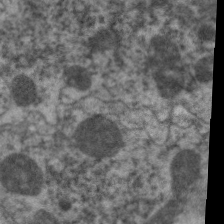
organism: C. elegans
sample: Pharynx